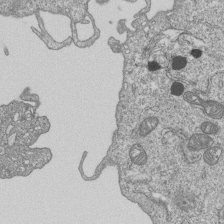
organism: Human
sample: MDA-MB-231 cells